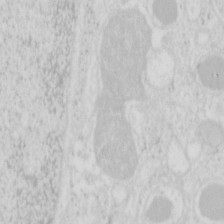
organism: Mouse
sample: Pancreas